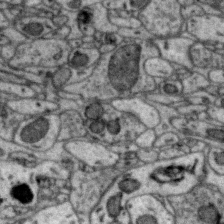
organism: Zebra finch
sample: Brain